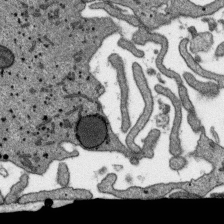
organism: Human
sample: Lung epithelial cells, uninfected (mock) control